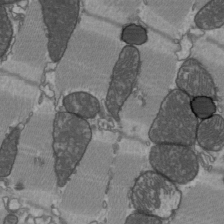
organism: C57BL Mouse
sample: Heart